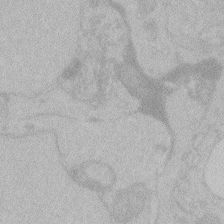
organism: Zebrafish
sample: Macrophage infected with Toxoplasma gondii